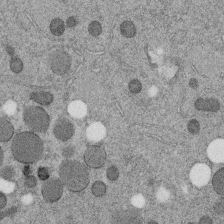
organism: C. elegans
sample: C. elegans embryo early stage